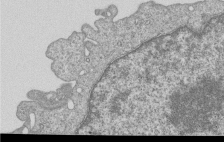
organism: Human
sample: MDA-MB-231 cells